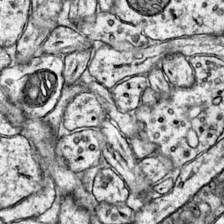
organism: Mouse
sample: Primary visual cortex